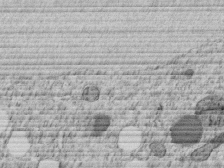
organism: C. elegans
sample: C. elegans embryo early stage